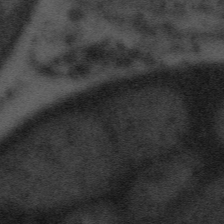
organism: Tuwongella immobilis